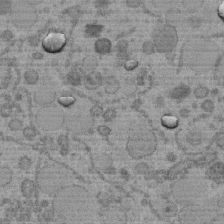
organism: C. elegans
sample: C. elegans embryo early stage